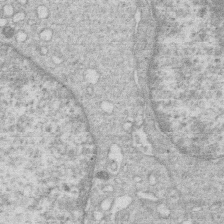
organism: Human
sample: Macrophage cells